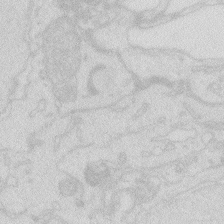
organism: Zebrafish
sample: Macrophage